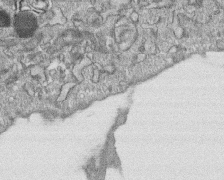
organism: Human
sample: CRL-1474